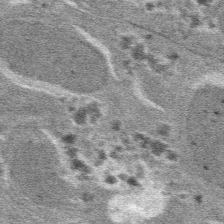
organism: Mouse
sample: Mouse hepatocytes